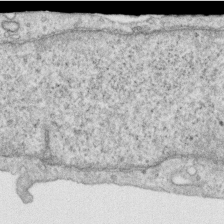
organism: Human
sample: Centriole in RPE cells